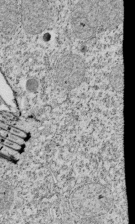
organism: Tetrahymena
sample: Cilia in tetrahymena